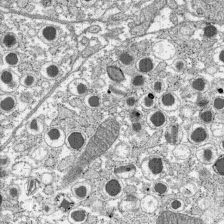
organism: C57BL Mouse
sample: Pancreatic islet